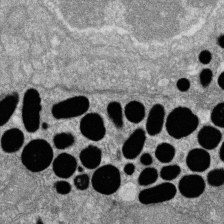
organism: Zebrafish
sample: Cilia; retinal pigment epithelium